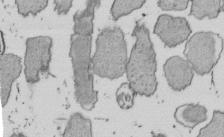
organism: E. coli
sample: Bacterial nucleoid